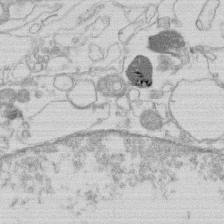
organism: Human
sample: Macrophage cells